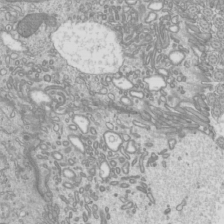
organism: Mouse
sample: Cilia; mouse epididymis